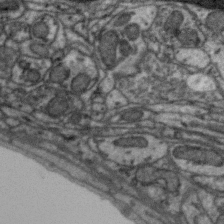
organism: Zebra finch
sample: Brain